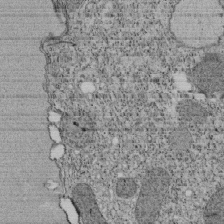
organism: Tetrahymena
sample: Cilia in tetrahymena